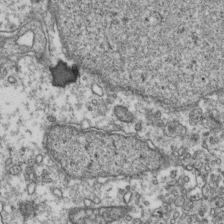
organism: Human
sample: Activated Jurkat CD4+ T cells